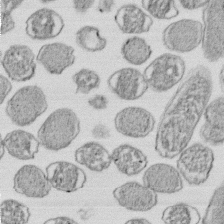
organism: E. coli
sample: Bacterial nucleoid